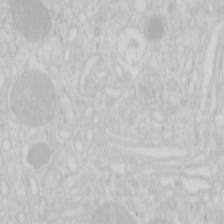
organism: Mouse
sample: Pancreas